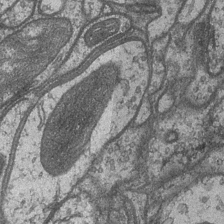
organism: Drosophila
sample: Optic medulla